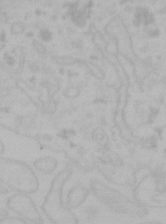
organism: Mouse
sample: Choroid plexus